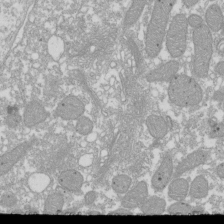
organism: Xenopus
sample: Cilia; centrioles in frog embryo cells